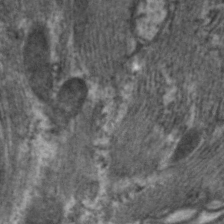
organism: C. elegans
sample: Pharynx